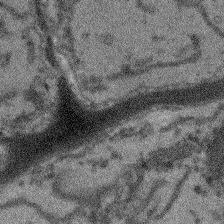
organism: Arabidopsis thaliana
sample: Root tip